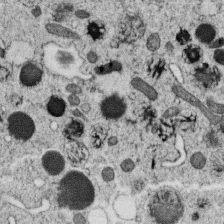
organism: C. elegans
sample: C. elegans oocyte; sperm cells